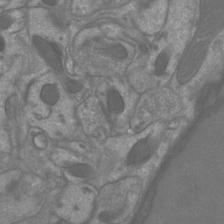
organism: Mouse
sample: Cortical neurons